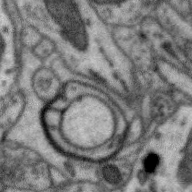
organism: Zebra finch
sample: Brain